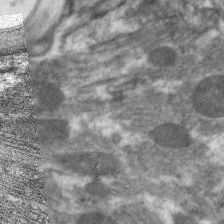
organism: C. elegans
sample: Pharynx